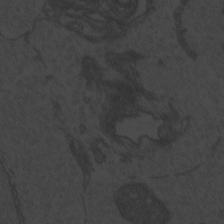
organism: Zebrafish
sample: Macrophage infected with Toxoplasma gondii